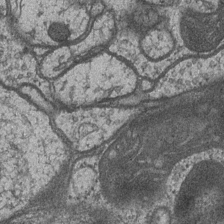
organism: Drosophila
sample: Optic medulla